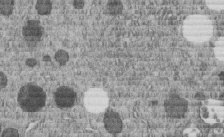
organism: C. elegans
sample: C. elegans embryo early stage